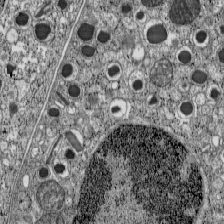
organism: C57BL Mouse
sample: Pancreatic islet